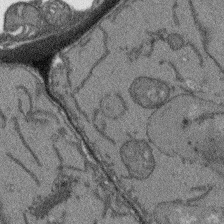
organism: Arabidopsis thaliana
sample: Root tip